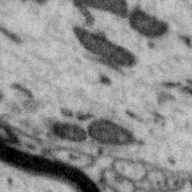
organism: Zebra finch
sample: Brain